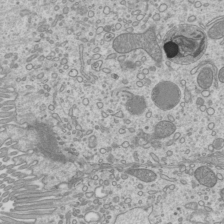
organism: Mouse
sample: Cilia; mouse epididymis